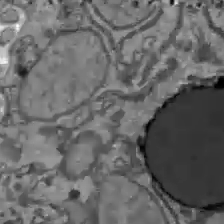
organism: C57BL Mouse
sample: Liver